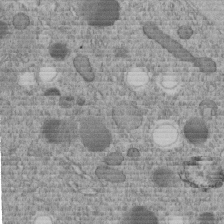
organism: C. elegans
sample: C. elegans embryo early stage